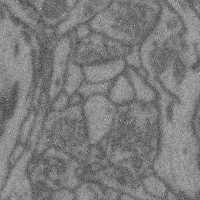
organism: Mouse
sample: Cerebral cortex